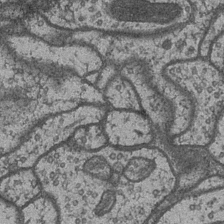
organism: Drosophila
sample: Optic medulla